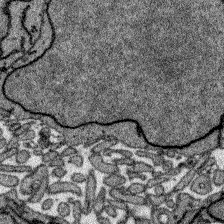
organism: Zebrafish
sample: Larval olfactory bulb